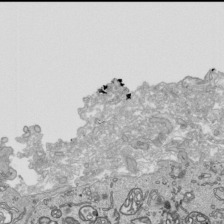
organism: Human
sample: Mitochondria in HCT116 cells